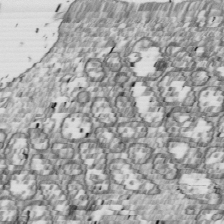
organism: Drosophila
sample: Cell division; meiosis; drosophila spermatocytes